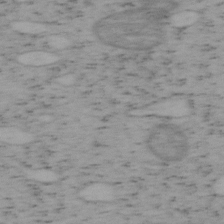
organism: Mouse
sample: OT-I killer T cells with ID8 ovarian cancer cells